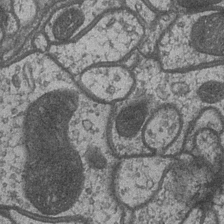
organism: Drosophila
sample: Optic medulla